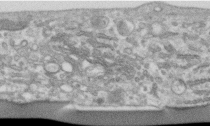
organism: Human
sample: Centriole in RPE cells